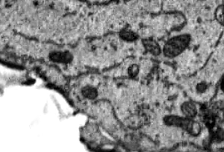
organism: Human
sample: HeLa cells